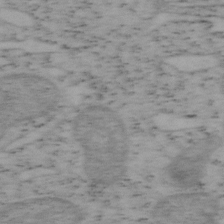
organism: Mouse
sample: OT-I killer T cells with ID8 ovarian cancer cells